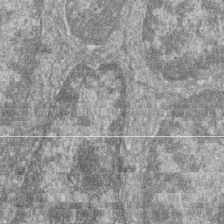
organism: Zebrafish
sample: Cilia; retinal pigment epithelium